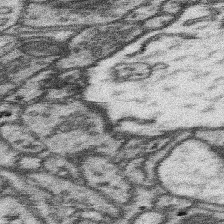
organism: Mouse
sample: Somatosensory cortex neuropil